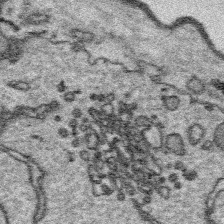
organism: Platynereis dumerilii